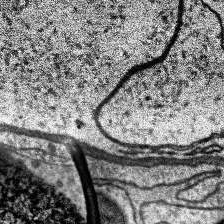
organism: Human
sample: Temporal Lobe